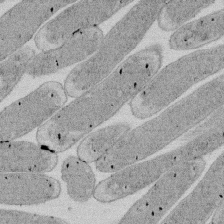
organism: E. coli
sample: Bacterial nucleoid